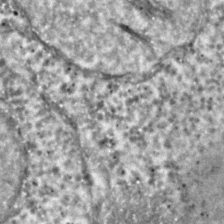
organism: C. elegans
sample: C. elegans embryo